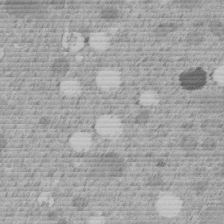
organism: C. elegans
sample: C. elegans embryo early stage